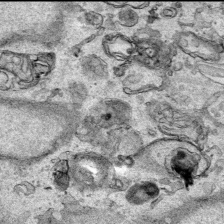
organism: Human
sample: Mitochondria in HCT116 cells